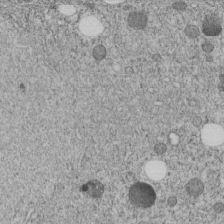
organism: C. elegans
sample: C. elegans embryo early stage